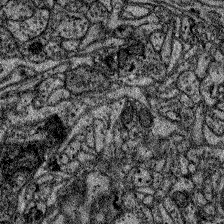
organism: Zebrafish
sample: Larval olfactory bulb